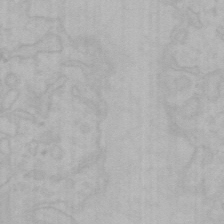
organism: Mouse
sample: Choroid plexus